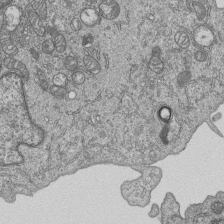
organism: Human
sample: MDA-MB-231 cells